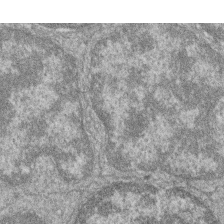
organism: Zebrafish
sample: Cilia; retinal pigment epithelium